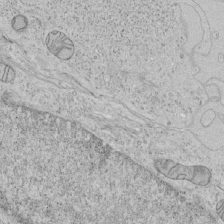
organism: Human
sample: Mitochondria in HCT116 cells